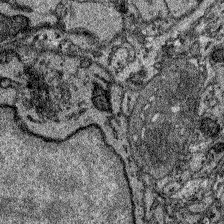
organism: Zebrafish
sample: Larval olfactory bulb